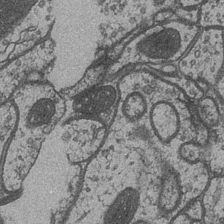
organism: Drosophila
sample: Optic medulla